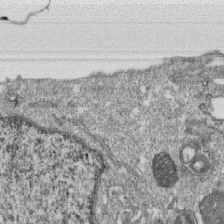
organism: African green monkey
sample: Vero E6 cells infected with SARS-CoV-2